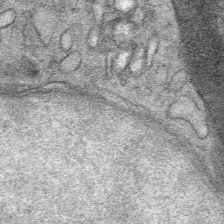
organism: Mouse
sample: Mouse Salivary gland